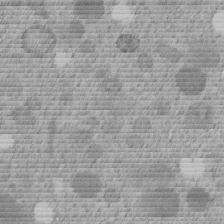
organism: C. elegans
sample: C. elegans embryo early stage